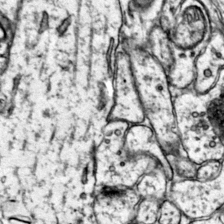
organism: Mouse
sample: Primary visual cortex